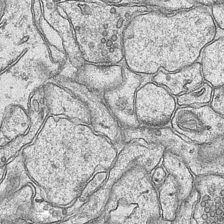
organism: Mouse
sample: CA1 Hippocampus